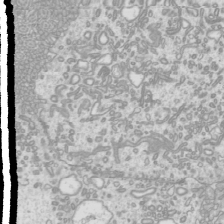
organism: Mouse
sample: Cilia; mouse epididymis